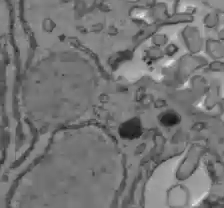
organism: C57BL Mouse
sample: Liver